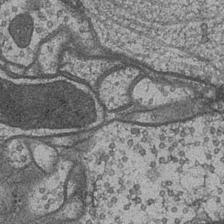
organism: Drosophila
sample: Optic medulla